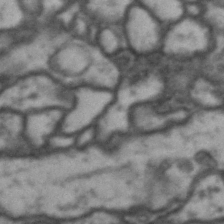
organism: Drosophila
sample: Brain